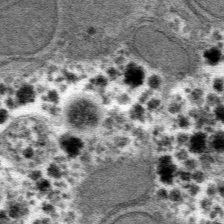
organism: Mouse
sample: Mouse hepatocytes